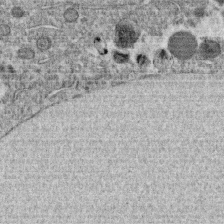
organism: C. elegans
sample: C. elegans oocyte; sperm cells